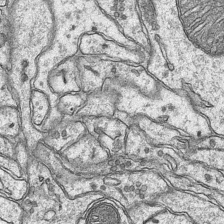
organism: Mouse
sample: CA1 Hippocampus